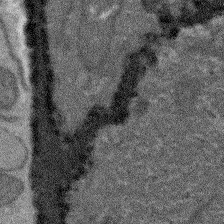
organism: Arabidopsis thaliana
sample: Root tip